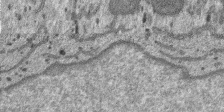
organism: Human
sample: Lung epithelial cells infected with SARS-CoV-2